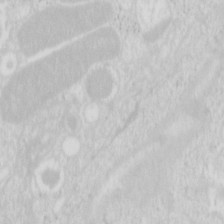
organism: Mouse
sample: Pancreas